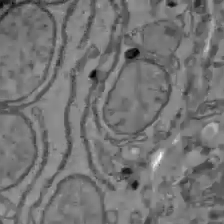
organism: C57BL Mouse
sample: Liver